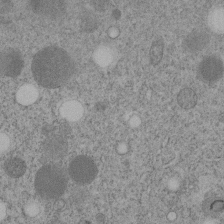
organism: C. elegans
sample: C. elegans embryo early stage